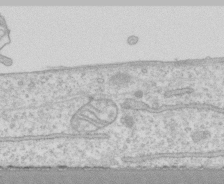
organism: Human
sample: CRL-1474